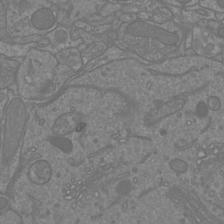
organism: Mouse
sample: Cortical neurons